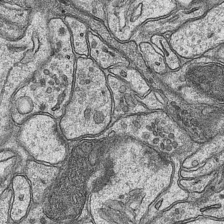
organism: Mouse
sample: CA1 Hippocampus